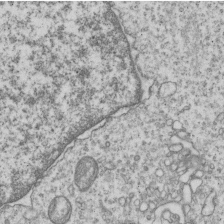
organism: Human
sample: MDA-MB-231 cells